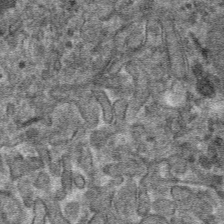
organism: Mouse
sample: Mouse hepatocytes